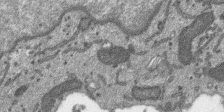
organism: Human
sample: Lung epithelial cells infected with SARS-CoV-2